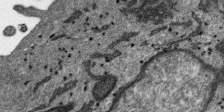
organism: Human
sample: Lung epithelial cells, uninfected (mock) control